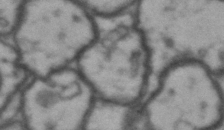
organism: Drosophila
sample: Brain